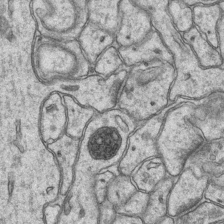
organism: Mouse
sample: CA1 Hippocampus